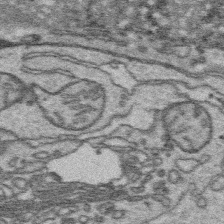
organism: Platynereis dumerilii